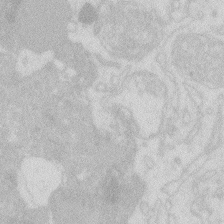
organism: Zebrafish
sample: Macrophage